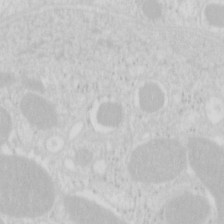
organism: Mouse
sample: Pancreas